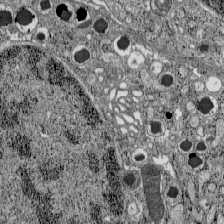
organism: C57BL Mouse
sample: Pancreatic islet